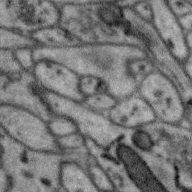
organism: Zebra finch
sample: Brain